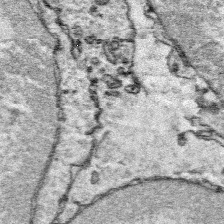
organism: Platynereis dumerilii